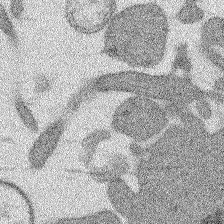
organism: Human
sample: HeLa cells